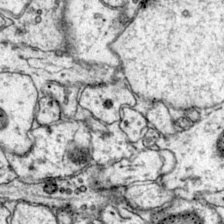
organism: Mouse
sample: Primary visual cortex